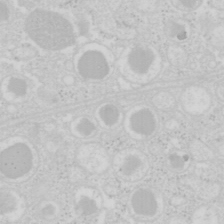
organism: Mouse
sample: Pancreas